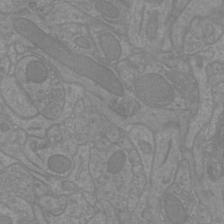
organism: Mouse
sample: Cortical neurons